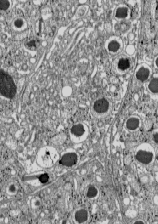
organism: C57BL Mouse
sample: Pancreatic islet